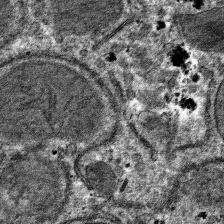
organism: Mouse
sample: Mouse hepatocytes